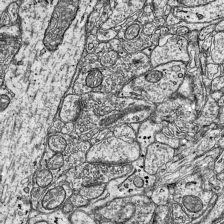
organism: Mouse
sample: Visual Cortex